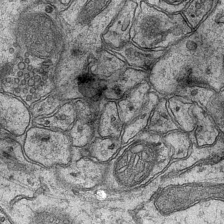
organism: Mouse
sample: CA1 Hippocampus